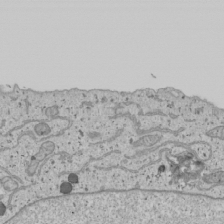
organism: Human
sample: Mitochondria in U2OS cells